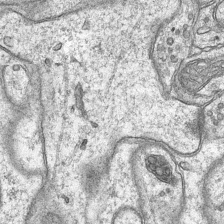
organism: Mouse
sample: CA1 Hippocampus